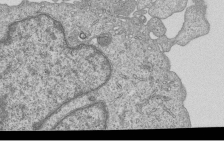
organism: Human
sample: MDA-MB-231 cells